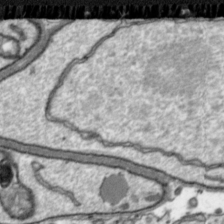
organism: Toxoplasma gondii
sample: Parasites in a vacuole inside a host cell